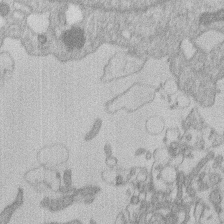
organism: Human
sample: Macrophage cells